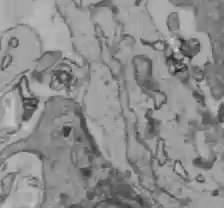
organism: C57BL Mouse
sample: Liver